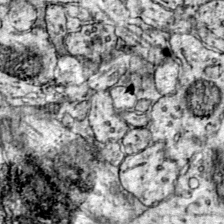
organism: Mouse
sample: Primary visual cortex